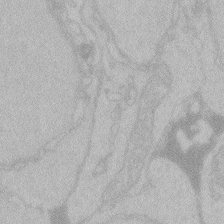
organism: Zebrafish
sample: Macrophage infected with Toxoplasma gondii